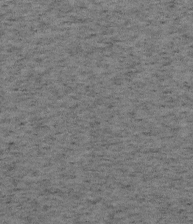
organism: Mouse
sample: OT-I killer T cells with ID8 ovarian cancer cells